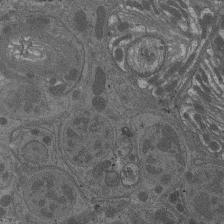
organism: Drosophila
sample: Antenna